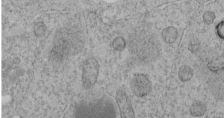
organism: C. elegans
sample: C. elegans embryo early stage